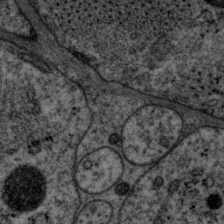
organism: P. pacificus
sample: Pharynx